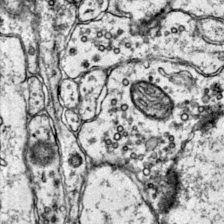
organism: Mouse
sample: Primary visual cortex